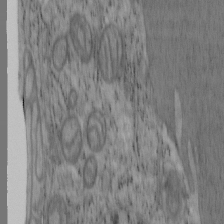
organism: Human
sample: HeLa cells